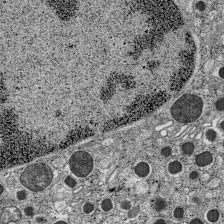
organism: C57BL Mouse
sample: Pancreatic islet